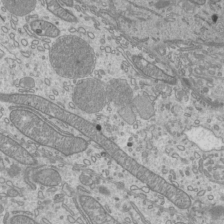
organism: Mouse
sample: Cilia; mouse epididymis